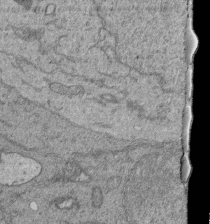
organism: Human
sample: Retinal organoid Rod and Cone cells